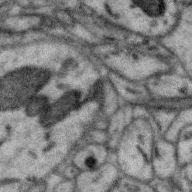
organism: Zebra finch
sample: Brain